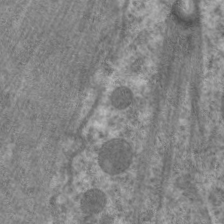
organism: C. elegans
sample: Pharynx